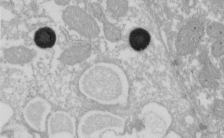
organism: Xenopus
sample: Cilia; centrioles in frog embryo cells